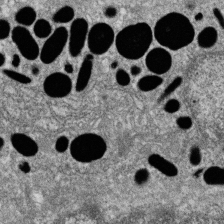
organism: Zebrafish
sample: Cilia; retinal pigment epithelium